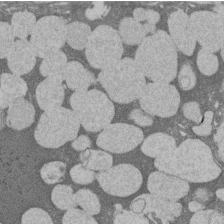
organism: Rat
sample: Salivary granule